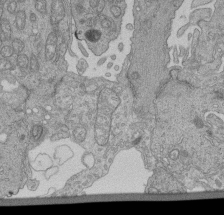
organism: Human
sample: Retinal organoid Rod and Cone cells